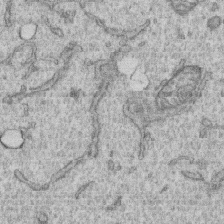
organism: Human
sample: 1205lu cells